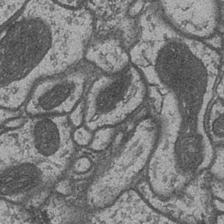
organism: Drosophila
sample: Optic medulla